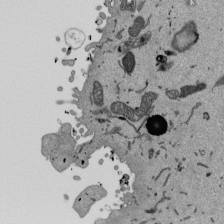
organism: Mouse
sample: ED-1 cell nuclei; centrioles